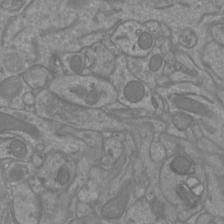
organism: Mouse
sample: Cortical neurons